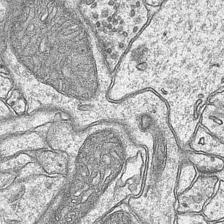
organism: Mouse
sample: CA1 Hippocampus